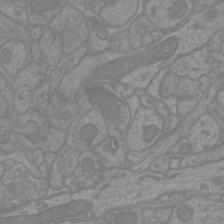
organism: Mouse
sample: Cortical neurons